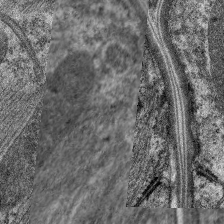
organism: C. elegans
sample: Pharynx